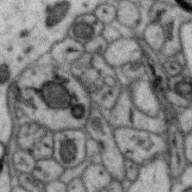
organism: Zebra finch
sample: Brain